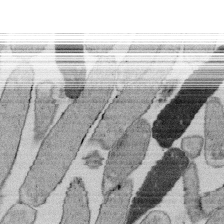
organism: E. coli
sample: Bacterial nucleoid